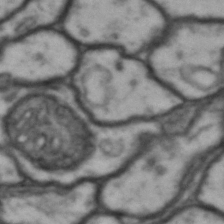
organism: Drosophila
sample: Brain